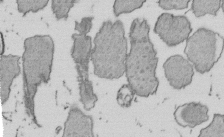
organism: E. coli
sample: Bacterial nucleoid